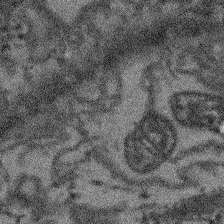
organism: Arabidopsis thaliana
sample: Root tip